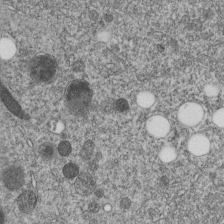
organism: C. elegans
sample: C. elegans embryo early stage